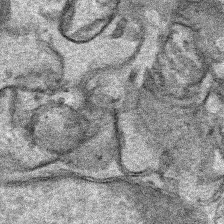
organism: Human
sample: Mitochondria in HCT116 cells